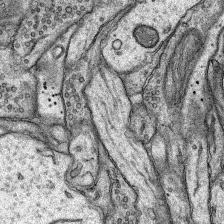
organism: Rat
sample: Hippocampus